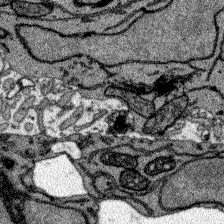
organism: Zebrafish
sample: Larval olfactory bulb